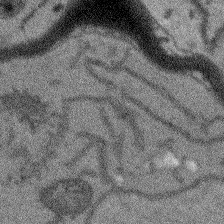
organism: Arabidopsis thaliana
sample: Root tip